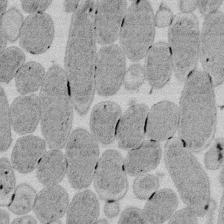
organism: E. coli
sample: Bacterial nucleoid